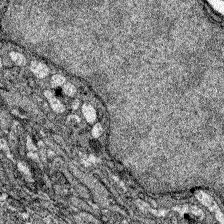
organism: Zebrafish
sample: Larval olfactory bulb